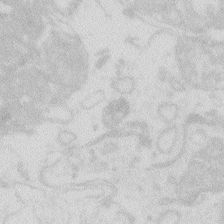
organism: Zebrafish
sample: Macrophage